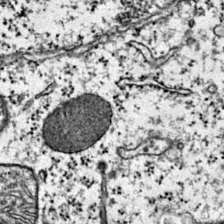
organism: Mouse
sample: Primary visual cortex